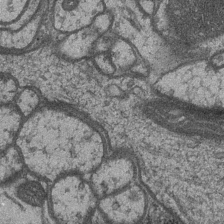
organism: Drosophila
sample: Optic medulla